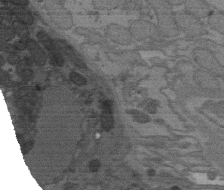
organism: C. elegans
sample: AFD neurons C. elegans